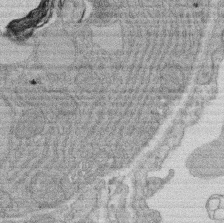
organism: Rat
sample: Salivary granule